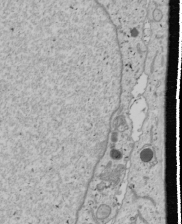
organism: Human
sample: Mitochondria in U2OS cells